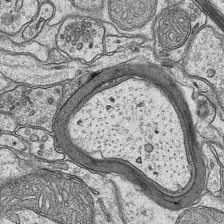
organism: Mouse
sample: CA1 Hippocampus